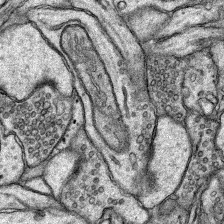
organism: Rat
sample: Hippocampus